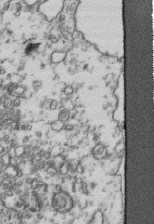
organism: Human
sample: Activated Jurkat CD4+ T cells